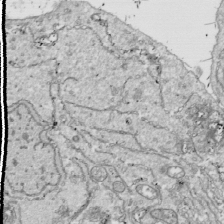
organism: Drosophila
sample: Cell division; meiosis; drosophila spermatocytes